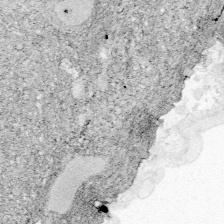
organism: Zebrafish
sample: Whole-Brain